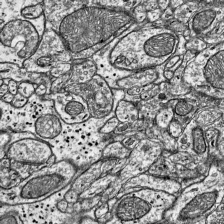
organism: Mouse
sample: Visual Cortex